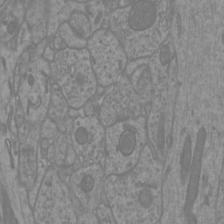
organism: Mouse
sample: Cortical neurons